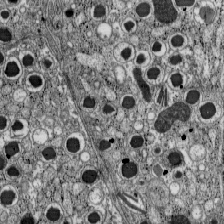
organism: C57BL Mouse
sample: Pancreatic islet